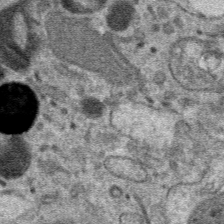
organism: Mouse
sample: Mouse hepatocytes